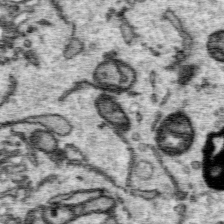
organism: Human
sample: HeLa cells